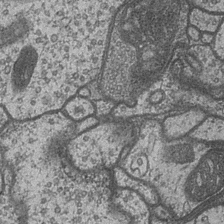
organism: Drosophila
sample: Optic medulla